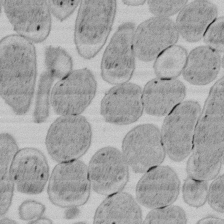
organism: E. coli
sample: Bacterial nucleoid